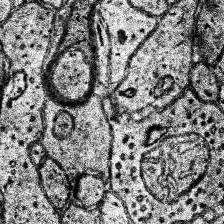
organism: Human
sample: Temporal Lobe